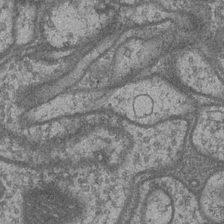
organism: Drosophila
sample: Optic medulla